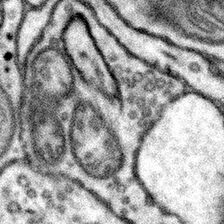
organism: Mouse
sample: Somatosensory cortex neuropil